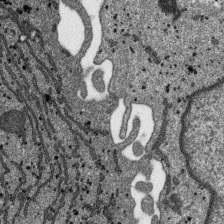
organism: Human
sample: Lung epithelial cells infected with SARS-CoV-2